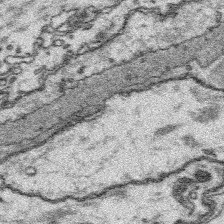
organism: Platynereis dumerilii